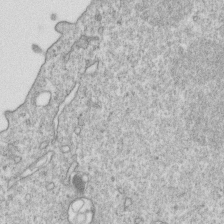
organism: Mouse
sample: Activated OT-1 CD8+ T cells